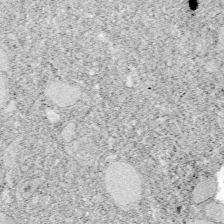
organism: Zebrafish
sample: Whole-Brain